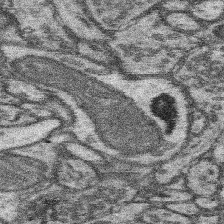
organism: Mouse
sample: Somatosensory cortex neuropil